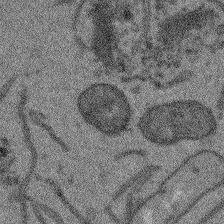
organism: Arabidopsis thaliana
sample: Root tip